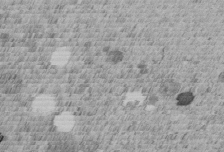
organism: C. elegans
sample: C. elegans embryo early stage